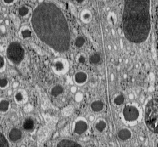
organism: C57BL Mouse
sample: Pancreatic islet